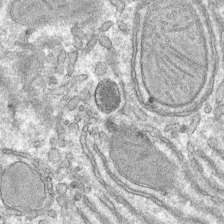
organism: Mouse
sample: Mouse hepatocytes